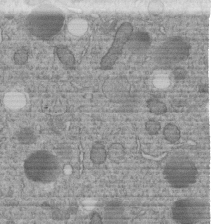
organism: C. elegans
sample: C. elegans embryo early stage